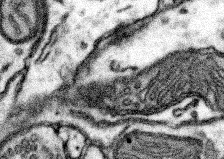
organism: Mouse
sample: Somatosensory cortex neuropil